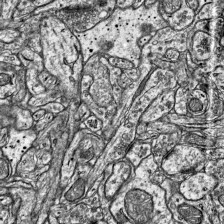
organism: Mouse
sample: Visual Cortex